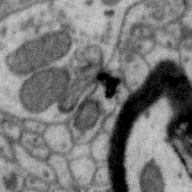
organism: Zebra finch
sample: Brain